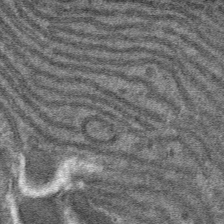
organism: Mouse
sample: Mouse hepatocytes